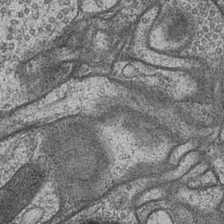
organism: Drosophila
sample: Optic medulla